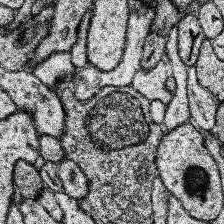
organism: Human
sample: Temporal Lobe